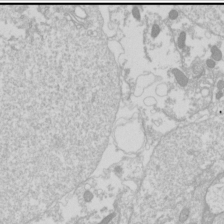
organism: Drosophila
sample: Cell division; meiosis; drosophila spermatocytes